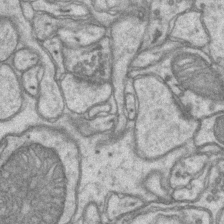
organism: Mouse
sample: CA1 Hippocampus